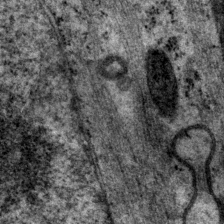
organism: P. pacificus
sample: Pharynx